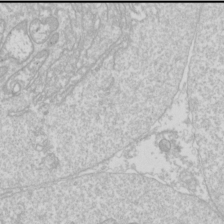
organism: Drosophila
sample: Cell division; meiosis; drosophila spermatocytes